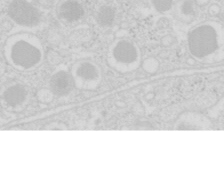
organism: Mouse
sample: Pancreas